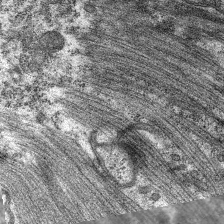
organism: C. elegans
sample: Pharynx